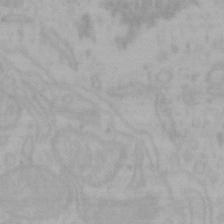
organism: Mouse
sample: Choroid plexus